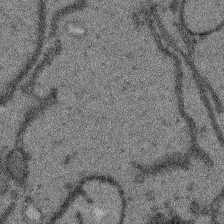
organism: Arabidopsis thaliana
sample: Root tip